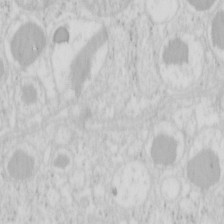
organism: Mouse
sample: Pancreas